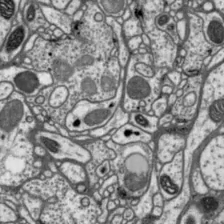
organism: Drosophila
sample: Protocerebral bridge